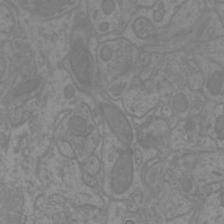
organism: Mouse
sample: Cortical neurons